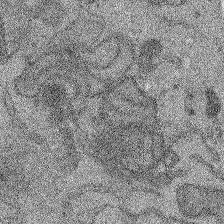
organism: Human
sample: HeLa cells